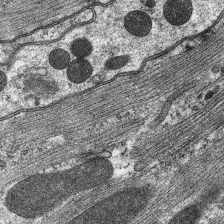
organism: C. elegans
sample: Pharynx